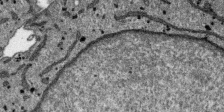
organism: Human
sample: Lung epithelial cells, uninfected (mock) control